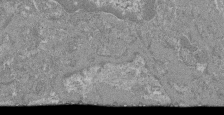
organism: Mouse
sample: Glomerulus